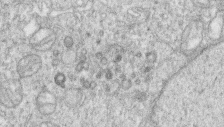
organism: Human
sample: HeLa cell HIV synapse